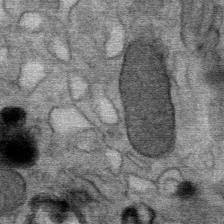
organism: Mouse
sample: Mouse Salivary gland